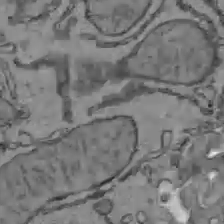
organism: C57BL Mouse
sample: Liver